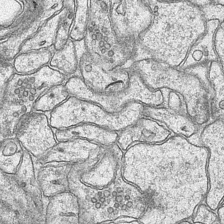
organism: Mouse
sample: CA1 Hippocampus